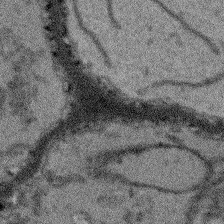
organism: Arabidopsis thaliana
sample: Root tip